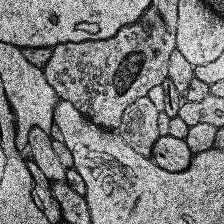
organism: Human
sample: Temporal Lobe